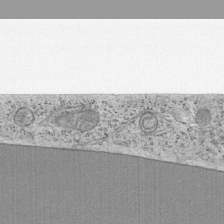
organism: Human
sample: HeLa cells